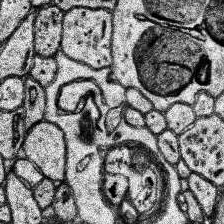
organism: Human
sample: Temporal Lobe